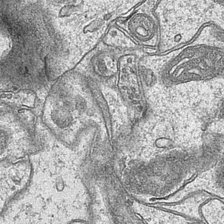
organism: Mouse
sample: CA1 Hippocampus